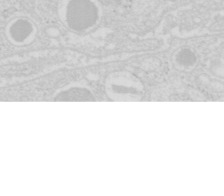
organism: Mouse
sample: Pancreas